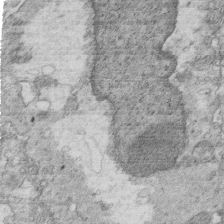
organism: Mouse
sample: Multiciliated cells